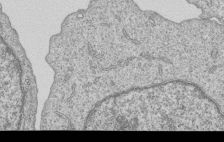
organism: Human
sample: MDA-MB-231 cells